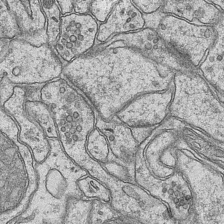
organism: Mouse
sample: CA1 Hippocampus